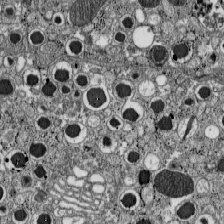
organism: C57BL Mouse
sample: Pancreatic islet